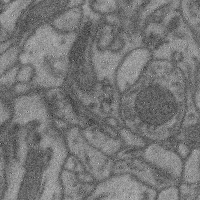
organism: Mouse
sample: Cerebral cortex